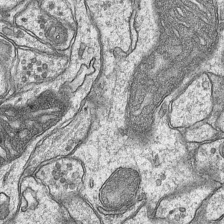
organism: Mouse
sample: CA1 Hippocampus